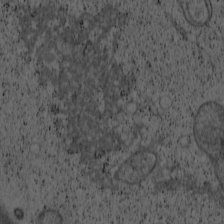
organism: African green monkey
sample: COS-7 cells